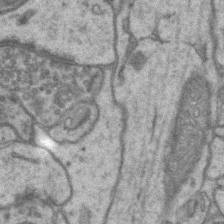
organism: Mouse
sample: CA1 Hippocampus